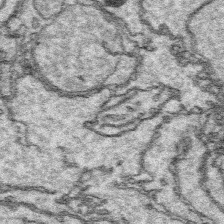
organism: Platynereis dumerilii